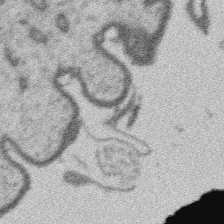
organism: Platynereis dumerilii